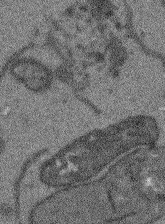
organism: Arabidopsis thaliana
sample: Root tip